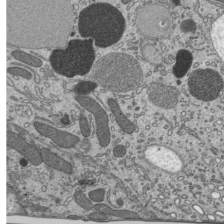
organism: Mouse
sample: Mouse epididymis efferent ductule cilia